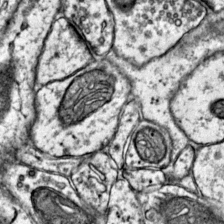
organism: Mouse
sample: Primary visual cortex